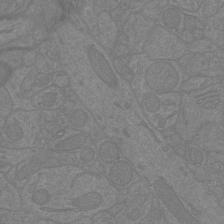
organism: Mouse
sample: Cortical neurons